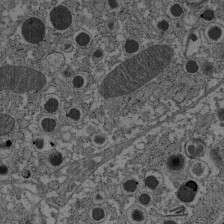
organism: C57BL Mouse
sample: Pancreatic islet